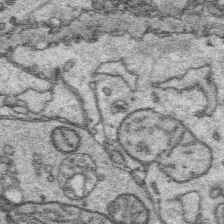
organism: Platynereis dumerilii